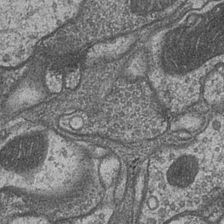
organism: Drosophila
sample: Optic medulla